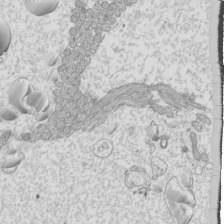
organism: Mouse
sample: Cilia; mouse epididymis